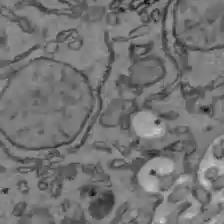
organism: C57BL Mouse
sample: Liver